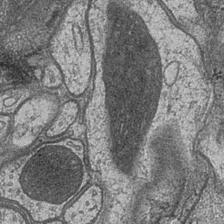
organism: Drosophila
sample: Optic medulla